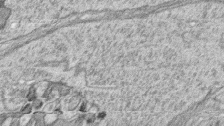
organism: Zebrafish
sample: synaptic ribbons in rod cells and cone cells